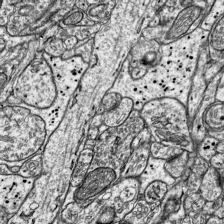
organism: Mouse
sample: Visual Cortex